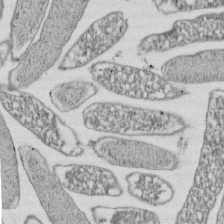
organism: E. coli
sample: Bacterial nucleoid